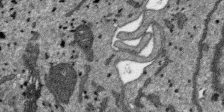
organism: Human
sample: Lung epithelial cells, uninfected (mock) control